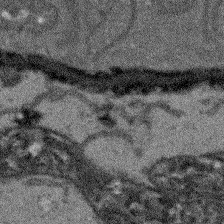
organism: Arabidopsis thaliana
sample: Root tip